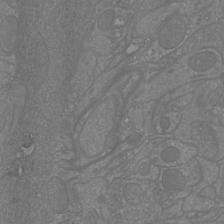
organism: Mouse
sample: Cortical neurons